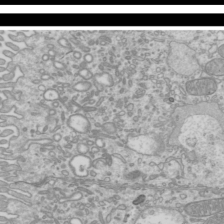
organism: Mouse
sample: Cilia; mouse epididymis